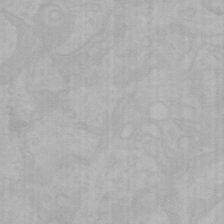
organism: Mouse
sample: Choroid plexus